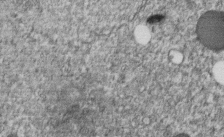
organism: C. elegans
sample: C. elegans embryo early stage